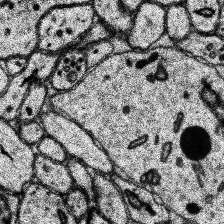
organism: Human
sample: Temporal Lobe